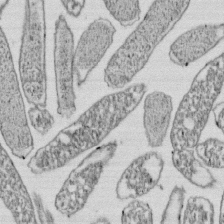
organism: E. coli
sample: Bacterial nucleoid